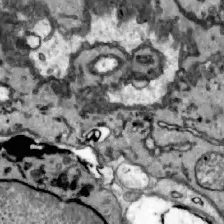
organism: Zebrafish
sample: Actinotrichia fibers